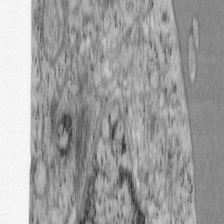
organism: Human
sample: HeLa cells